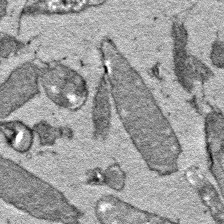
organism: E. coli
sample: E. Coli Bacteria